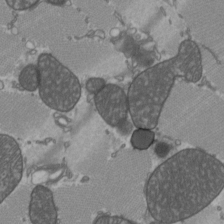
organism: C57BL Mouse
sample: Heart